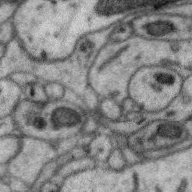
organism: Zebra finch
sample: Brain